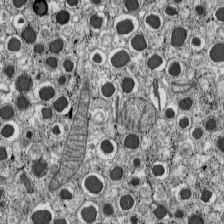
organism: C57BL Mouse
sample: Pancreatic islet